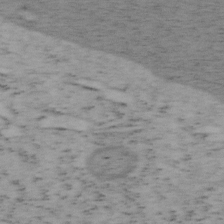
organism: Mouse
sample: OT-I killer T cells with ID8 ovarian cancer cells